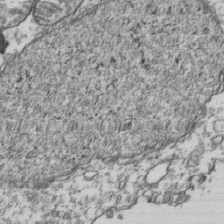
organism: Human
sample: Activated Jurkat CD4+ T cells